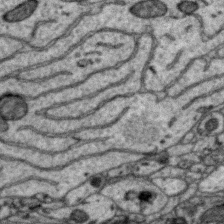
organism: Zebra finch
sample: Brain